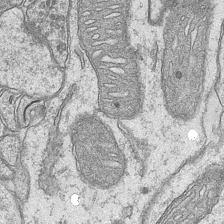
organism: Mouse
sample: CA1 Hippocampus